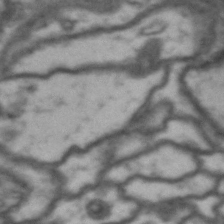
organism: Drosophila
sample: Brain